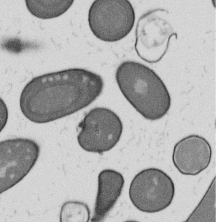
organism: B. subtilis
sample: Bacterial spore